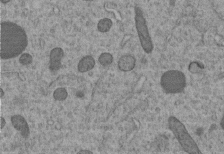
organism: C. elegans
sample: C. elegans embryo early stage